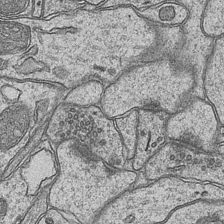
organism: Mouse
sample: CA1 Hippocampus